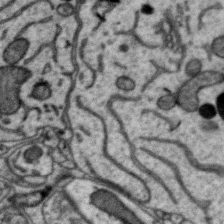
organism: Zebra finch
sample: Brain